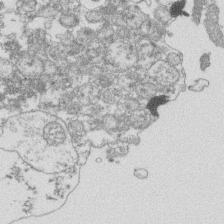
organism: Human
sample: HeLa cell HIV synapse